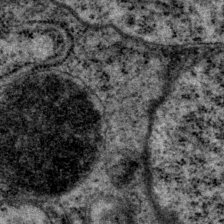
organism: P. pacificus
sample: Pharynx